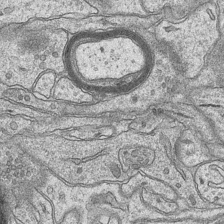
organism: Mouse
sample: CA1 Hippocampus